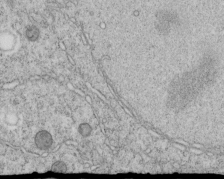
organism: C. elegans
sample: C. elegans embryo early stage